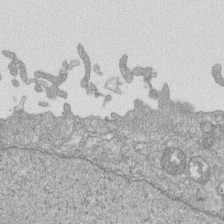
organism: Human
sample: HeLa cell HIV synapse